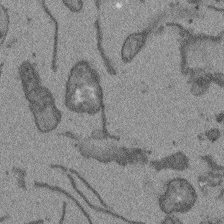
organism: Arabidopsis thaliana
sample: Root tip